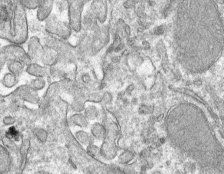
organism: Mouse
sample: Mouse hepatocytes